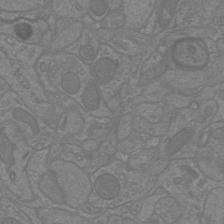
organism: Mouse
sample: Cortical neurons